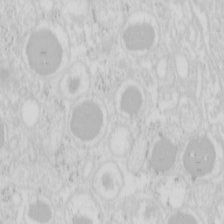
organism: Mouse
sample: Pancreas